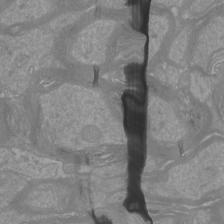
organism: Mouse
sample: Cortical neurons